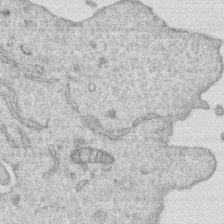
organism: Human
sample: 1205lu cells